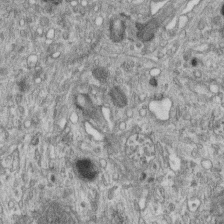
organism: Mouse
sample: Centriole in ependymal cells